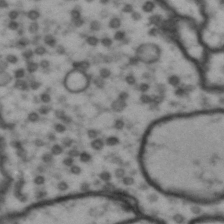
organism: Drosophila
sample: Brain